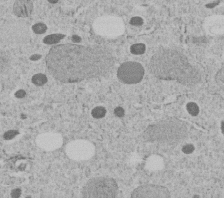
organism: C. elegans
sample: C. elegans embryo early stage